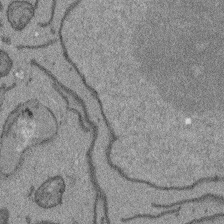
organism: Arabidopsis thaliana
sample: Root tip